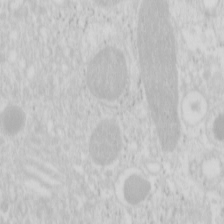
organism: Mouse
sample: Pancreas